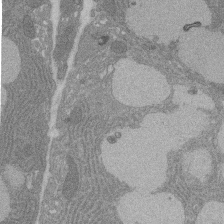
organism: Rat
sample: Salivary granule